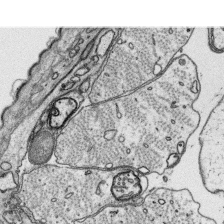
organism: Platynereis dumerilii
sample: Parapodia